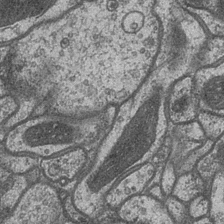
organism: Drosophila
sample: Optic medulla